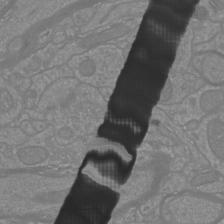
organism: Mouse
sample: Cortical neurons